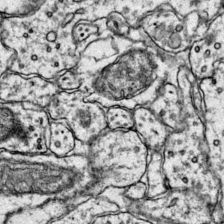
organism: Mouse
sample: Primary visual cortex